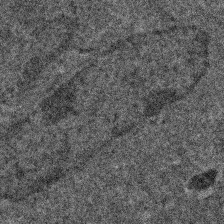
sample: Trachea